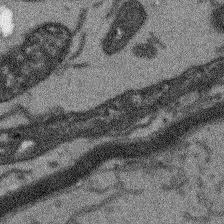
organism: Arabidopsis thaliana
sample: Root tip